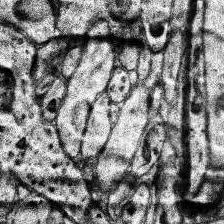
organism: Human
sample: Temporal Lobe